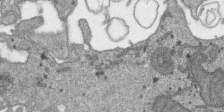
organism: Human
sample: Lung epithelial cells infected with SARS-CoV-2